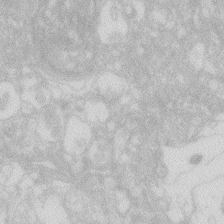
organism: Zebrafish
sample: Macrophage